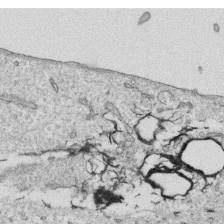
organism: Human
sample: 1205lu cells